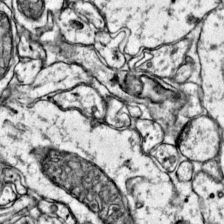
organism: Mouse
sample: Primary visual cortex